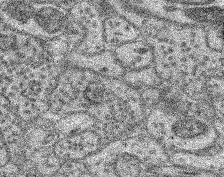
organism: Mouse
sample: Retina